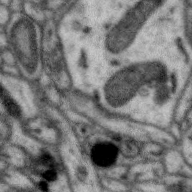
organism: Zebra finch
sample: Brain